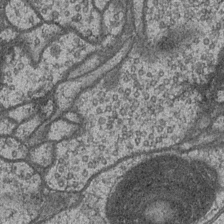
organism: Drosophila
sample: Optic medulla